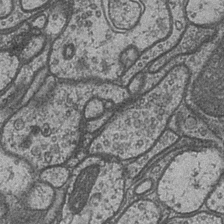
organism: Drosophila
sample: Optic medulla